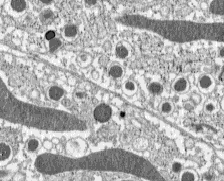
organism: C57BL Mouse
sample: Pancreatic islet